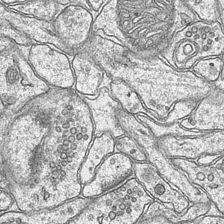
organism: Mouse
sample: CA1 Hippocampus